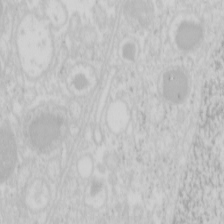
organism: Mouse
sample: Pancreas